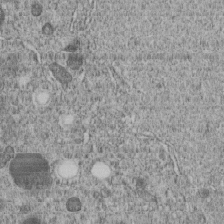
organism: C. elegans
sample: C. elegans embryo early stage